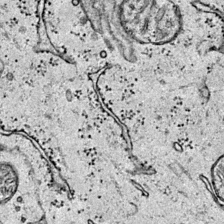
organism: Mouse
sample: Primary visual cortex